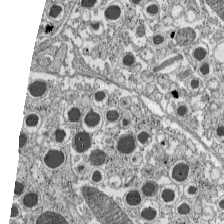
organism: C57BL Mouse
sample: Pancreatic islet